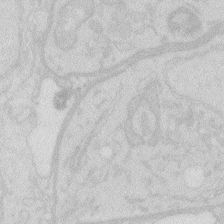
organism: Zebrafish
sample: Macrophage